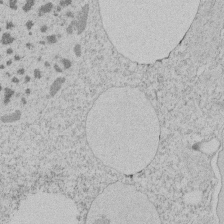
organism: Tetrahymena